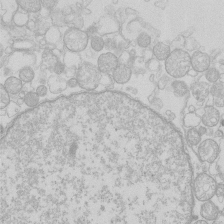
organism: Human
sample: Macrophage cells